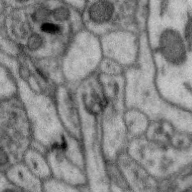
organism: Zebra finch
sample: Brain